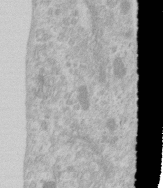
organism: Human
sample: Centriole in RPE cells